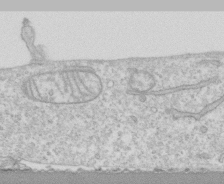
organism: Human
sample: CRL-1474